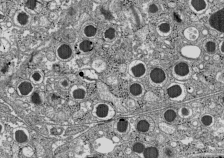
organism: C57BL Mouse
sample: Pancreatic islet